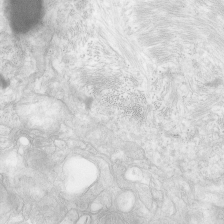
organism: Human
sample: Neocortex